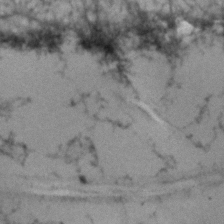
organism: Human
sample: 1205lu cells